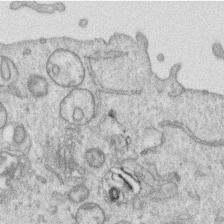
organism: Human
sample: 1205lu cells